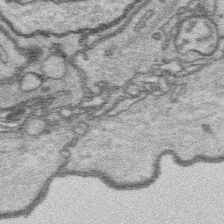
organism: Platynereis dumerilii